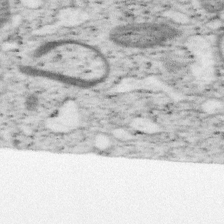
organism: Mouse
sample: OT-I killer T cells with ID8 ovarian cancer cells